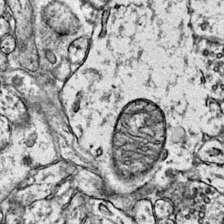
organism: Mouse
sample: Primary visual cortex